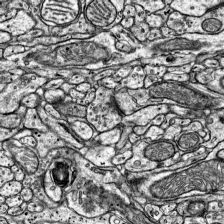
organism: Mouse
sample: Visual Cortex